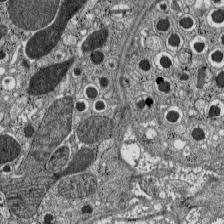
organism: C57BL Mouse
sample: Pancreatic islet